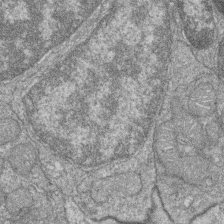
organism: Zebrafish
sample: Cilia; retinal pigment epithelium